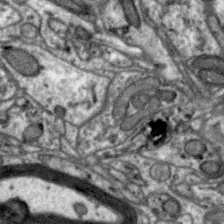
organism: Zebra finch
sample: Brain